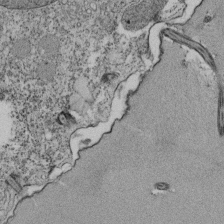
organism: Tetrahymena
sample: Cilia in tetrahymena